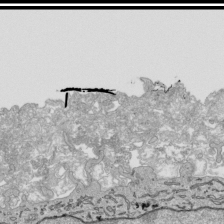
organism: Human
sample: Mitochondria in HCT116 cells